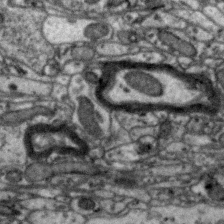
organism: Zebra finch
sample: Brain